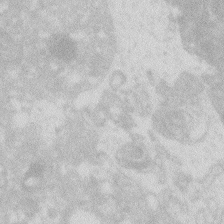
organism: Zebrafish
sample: Macrophage